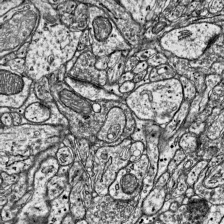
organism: Mouse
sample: Visual Cortex